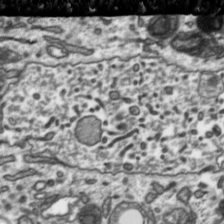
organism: Toxoplasma gondii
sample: Parasites in a vacuole inside a host cell